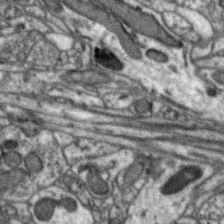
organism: Zebra finch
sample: Brain